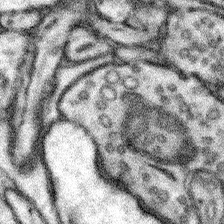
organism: Mouse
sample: Somatosensory cortex neuropil